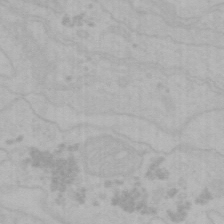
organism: Mouse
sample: Choroid plexus